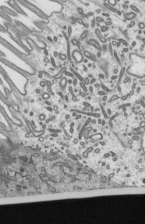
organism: Mouse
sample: Mouse epididymis efferent ductule cilia